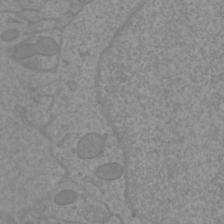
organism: Mouse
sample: Cortical neurons